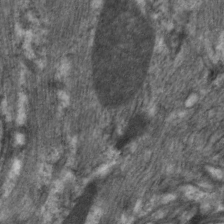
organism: C. elegans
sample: Pharynx